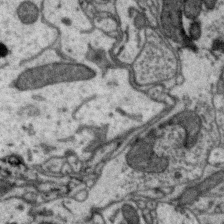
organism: Zebra finch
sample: Brain